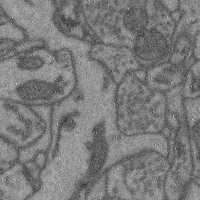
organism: Mouse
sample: Cerebral cortex